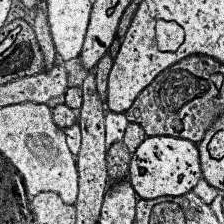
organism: Human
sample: Temporal Lobe